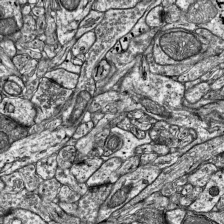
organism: Mouse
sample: Visual Cortex